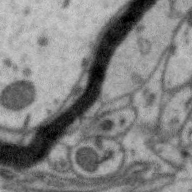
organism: Zebra finch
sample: Brain